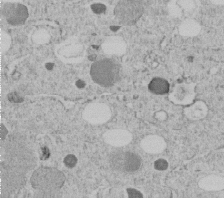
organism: C. elegans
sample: C. elegans embryo early stage